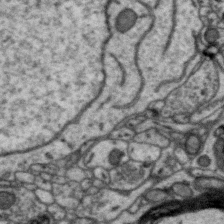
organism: Zebra finch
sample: Brain